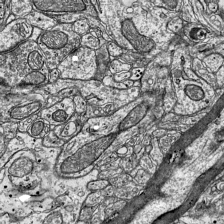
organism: Mouse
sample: Visual Cortex